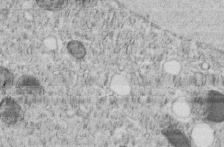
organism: C. elegans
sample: C. elegans embryo early stage